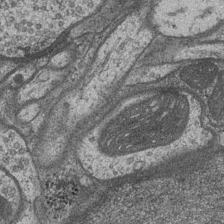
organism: Drosophila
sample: Optic medulla